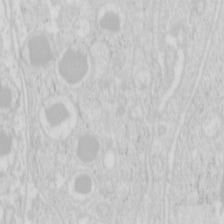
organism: Mouse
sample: Pancreas